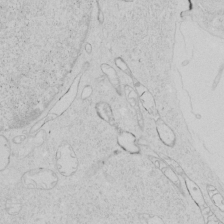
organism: Human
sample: Mitochondria in HCT116 cells